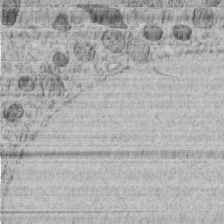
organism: C. elegans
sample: C. elegans embryo early stage